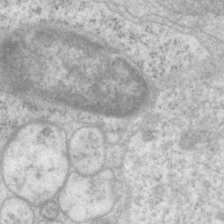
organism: P. pacificus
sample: Pharynx